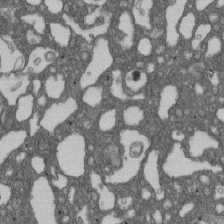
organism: Drosophila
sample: Nephrocyte